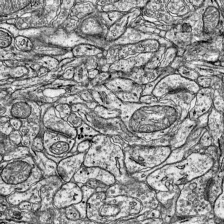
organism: Mouse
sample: Visual Cortex